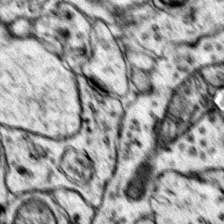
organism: Mouse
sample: Primary visual cortex